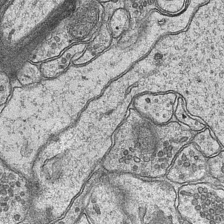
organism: Mouse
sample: CA1 Hippocampus